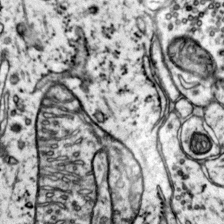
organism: Mouse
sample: Primary visual cortex